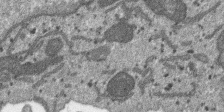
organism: Human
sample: Lung epithelial cells infected with SARS-CoV-2